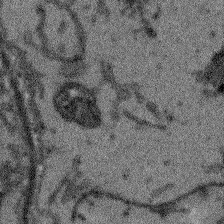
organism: Arabidopsis thaliana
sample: Root tip